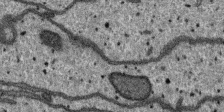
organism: Human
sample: Lung epithelial cells, uninfected (mock) control